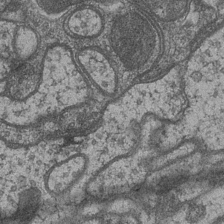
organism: Drosophila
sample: Optic medulla